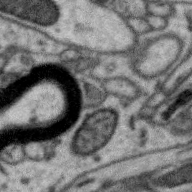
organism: Zebra finch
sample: Brain